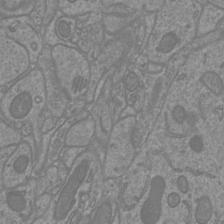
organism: Mouse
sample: Cortical neurons